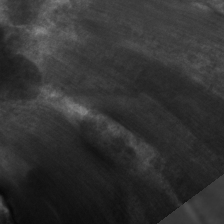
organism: C. elegans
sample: Pharynx